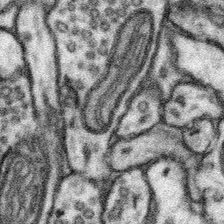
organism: Mouse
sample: Somatosensory cortex neuropil